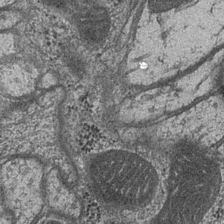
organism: Drosophila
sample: Optic medulla